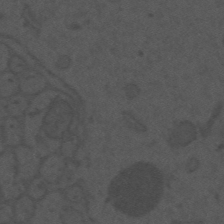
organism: Mouse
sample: Suprachiasmatic nucleus